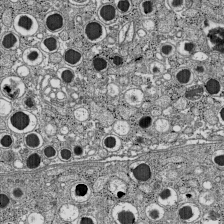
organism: C57BL Mouse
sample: Pancreatic islet